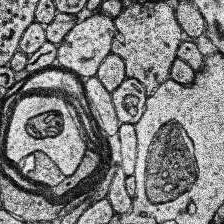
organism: Human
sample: Temporal Lobe